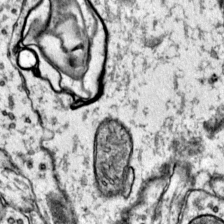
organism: Mouse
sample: Primary visual cortex